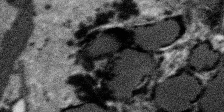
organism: Human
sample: Lung epithelial cells infected with SARS-CoV-2